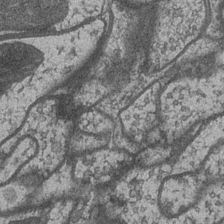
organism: Drosophila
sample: Optic medulla